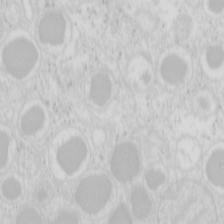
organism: Mouse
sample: Pancreas